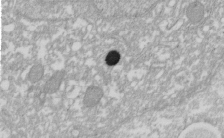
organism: Xenopus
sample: Cilia; centrioles in frog embryo cells